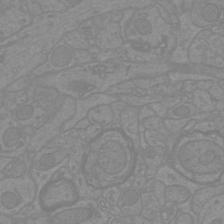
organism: Mouse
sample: Cortical neurons